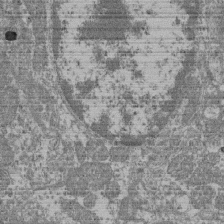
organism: Mouse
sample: Glomerulus